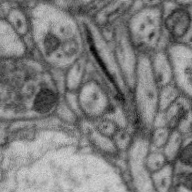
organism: Zebra finch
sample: Brain